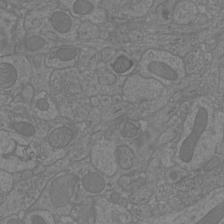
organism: Mouse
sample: Cortical neurons